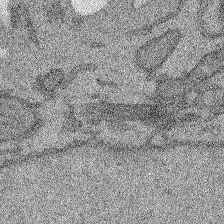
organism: Human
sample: HeLa cells